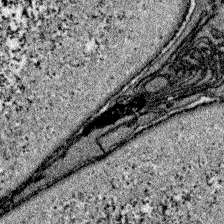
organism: Zebrafish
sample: Larval olfactory bulb